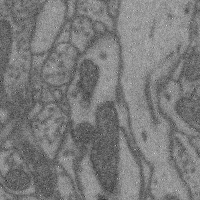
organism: Mouse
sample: Cerebral cortex